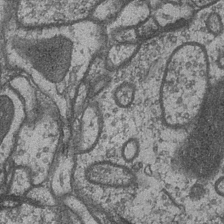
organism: Drosophila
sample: Optic medulla